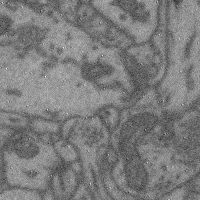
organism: Mouse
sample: Cerebral cortex